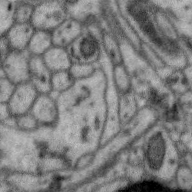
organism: Zebra finch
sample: Brain